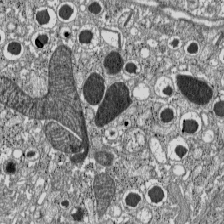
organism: C57BL Mouse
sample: Pancreatic islet